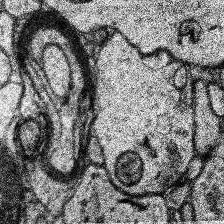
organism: Human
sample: Temporal Lobe